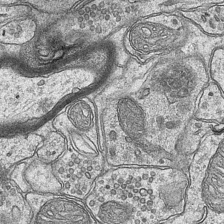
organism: Mouse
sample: CA1 Hippocampus